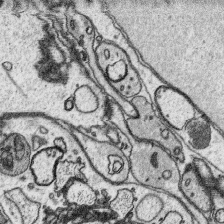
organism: Platynereis dumerilii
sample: Parapodia